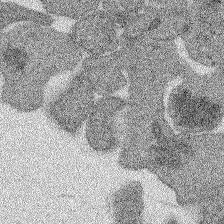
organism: Human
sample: HeLa cells